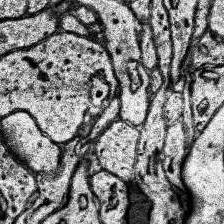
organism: Human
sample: Temporal Lobe